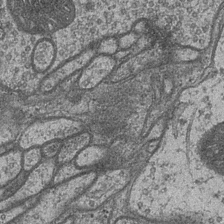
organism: Drosophila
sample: Optic medulla